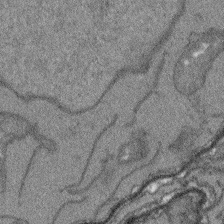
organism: Arabidopsis thaliana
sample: Root tip